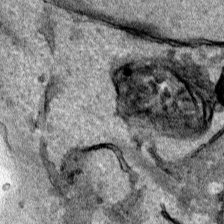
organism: Human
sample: Mitochondria in HCT116 cells